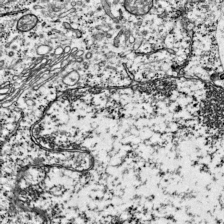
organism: Mouse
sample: Visual Cortex